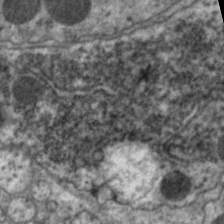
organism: C. elegans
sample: Pharynx